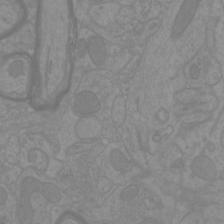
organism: Mouse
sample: Cortical neurons